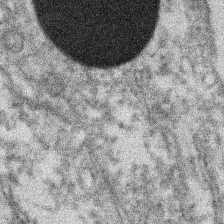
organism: Xenopus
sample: Cilia; centrioles in frog embryo cells